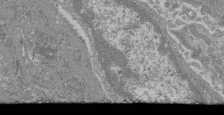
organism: Mouse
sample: Glomerulus